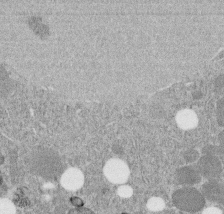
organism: C. elegans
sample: C. elegans embryo early stage